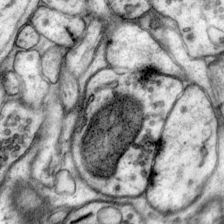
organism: Mouse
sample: Primary visual cortex